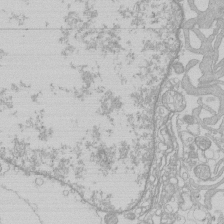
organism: Human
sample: Macrophage cells